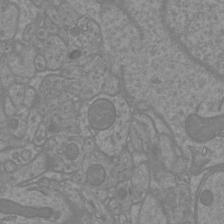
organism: Mouse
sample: Cortical neurons